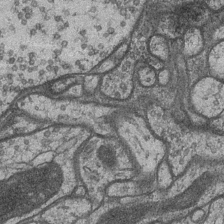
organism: Drosophila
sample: Optic medulla